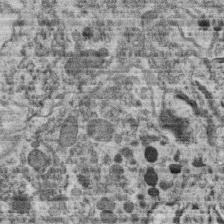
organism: C. elegans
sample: C. elegans oocyte; sperm cells